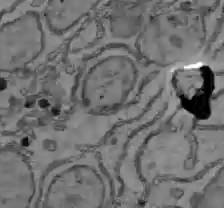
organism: C57BL Mouse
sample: Liver